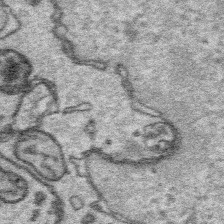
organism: Platynereis dumerilii